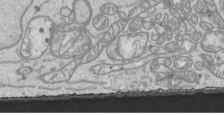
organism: Human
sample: Mitochondria in HCT116 cells